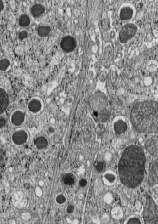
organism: C57BL Mouse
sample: Pancreatic islet